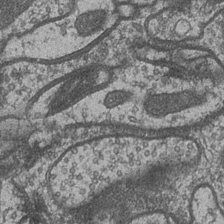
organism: Drosophila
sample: Optic medulla